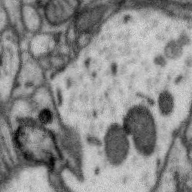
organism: Zebra finch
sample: Brain